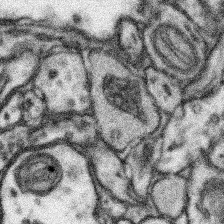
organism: Mouse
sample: Somatosensory cortex neuropil